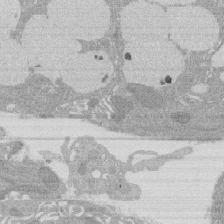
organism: Rat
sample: Salivary granule